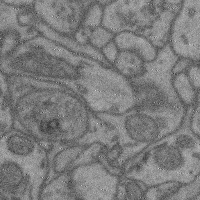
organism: Mouse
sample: Cerebral cortex